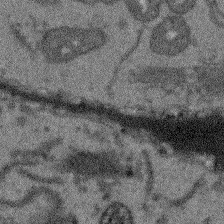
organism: Arabidopsis thaliana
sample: Root tip